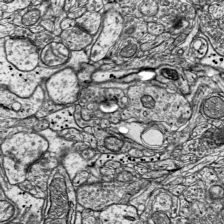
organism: Mouse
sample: Visual Cortex